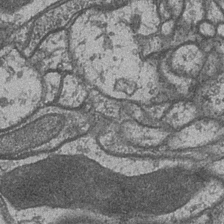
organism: Drosophila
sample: Optic medulla